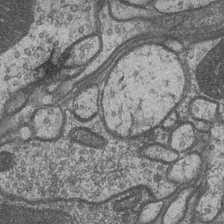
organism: Drosophila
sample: Optic medulla